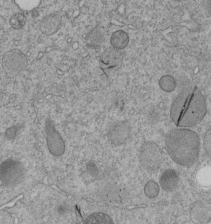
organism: C. elegans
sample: C. elegans embryo early stage